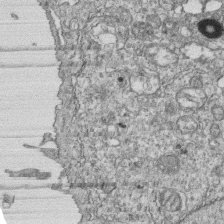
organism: Human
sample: HeLa cell HIV synapse